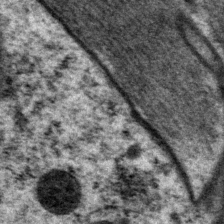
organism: P. pacificus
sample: Pharynx